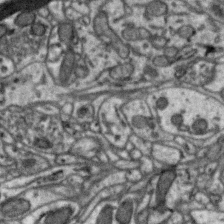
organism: Zebra finch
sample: Brain